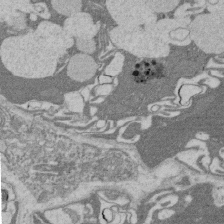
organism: Rat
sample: Salivary granule